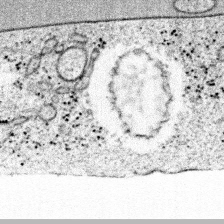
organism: Human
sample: HeLa cells